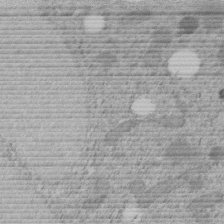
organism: C. elegans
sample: C. elegans embryo early stage